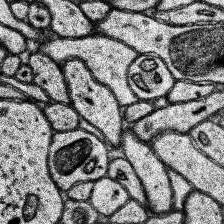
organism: Human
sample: Temporal Lobe